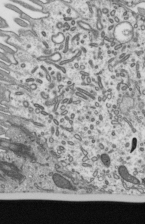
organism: Mouse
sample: Mouse epididymis efferent ductule cilia